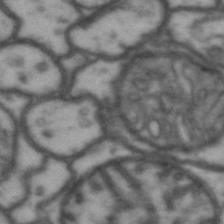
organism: Drosophila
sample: Brain